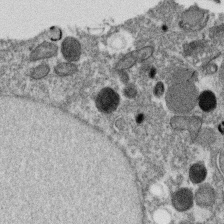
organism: C. elegans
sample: C. elegans oocyte; sperm cells